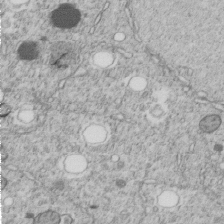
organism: C. elegans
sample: C. elegans embryo early stage